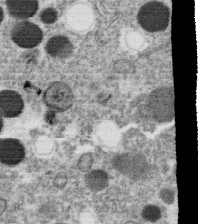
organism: C. elegans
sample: C. elegans oocyte; sperm cells